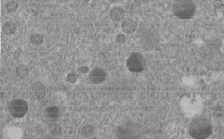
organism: C. elegans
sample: C. elegans embryo early stage